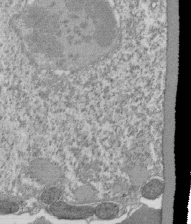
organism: Tetrahymena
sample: Cilia in tetrahymena